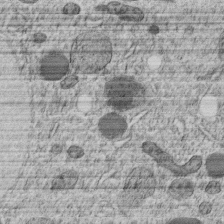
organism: C. elegans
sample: C. elegans embryo early stage